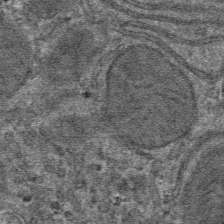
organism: Mouse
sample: Mouse hepatocytes